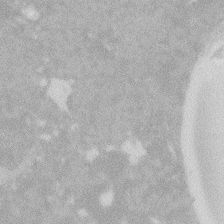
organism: Zebrafish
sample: Macrophage